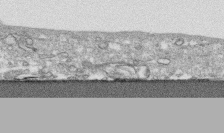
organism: Human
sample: CRL-1474